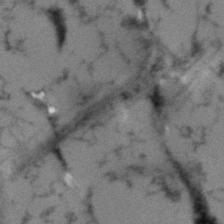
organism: Human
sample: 1205lu cells